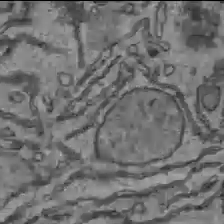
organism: C57BL Mouse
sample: Liver